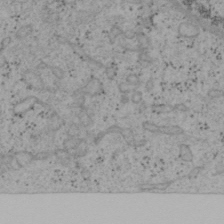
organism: Human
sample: HeLa cells